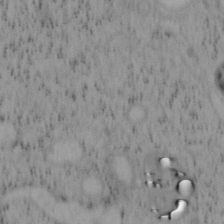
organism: Mouse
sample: OT-I killer T cells with ID8 ovarian cancer cells